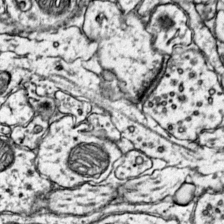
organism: Mouse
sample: Primary visual cortex